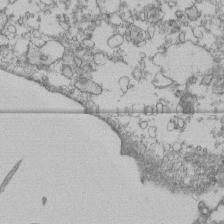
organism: Human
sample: Fibroblast cells